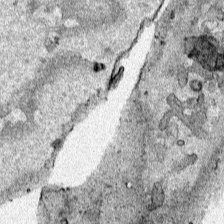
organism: Human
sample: Mitochondria in HCT116 cells